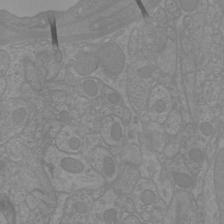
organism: Mouse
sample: Cortical neurons